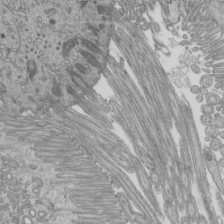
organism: Mouse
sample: Cilia; mouse epididymis